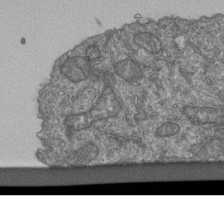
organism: Human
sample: Retinal organoid Rod and Cone cells